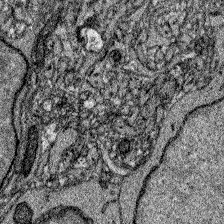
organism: Zebrafish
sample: Larval olfactory bulb